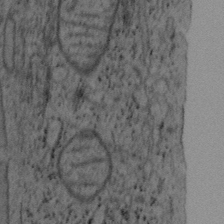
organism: Human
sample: HeLa cells